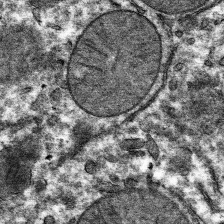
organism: Mouse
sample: Mouse hepatocytes